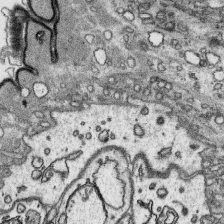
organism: Platynereis dumerilii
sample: Parapodia